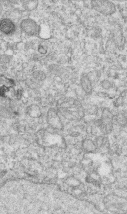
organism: Human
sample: HeLa cell HIV synapse